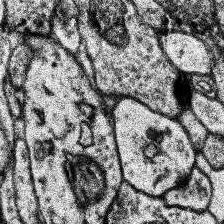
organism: Human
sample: Temporal Lobe